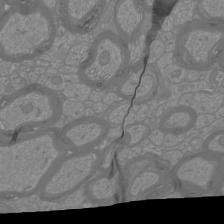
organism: Mouse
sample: Cortical neurons